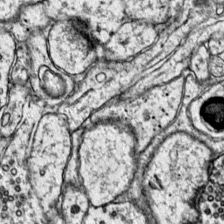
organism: Mouse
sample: Primary visual cortex